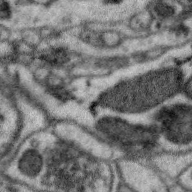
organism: Zebra finch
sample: Brain